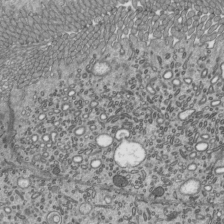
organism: Mouse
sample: Mouse epididymis efferent ductule cilia